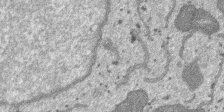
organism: Human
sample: Lung epithelial cells infected with SARS-CoV-2